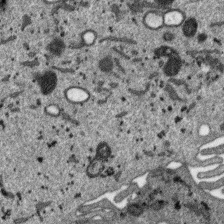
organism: Human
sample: Lung epithelial cells infected with SARS-CoV-2